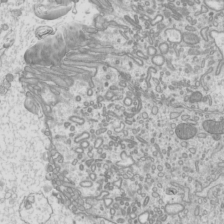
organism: Mouse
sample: Cilia; mouse epididymis